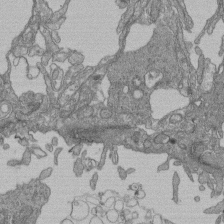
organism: Human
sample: Retinal organoid Rod and Cone cells